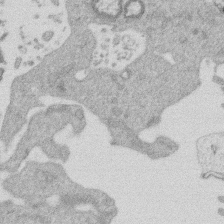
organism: Mouse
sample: Dividing mouse embryo 1 cell stage